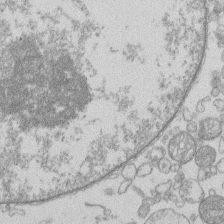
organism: Human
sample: Macrophage cells